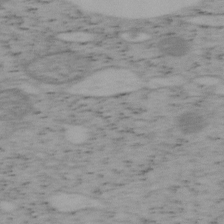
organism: Mouse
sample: OT-I killer T cells with ID8 ovarian cancer cells